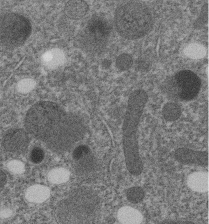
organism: C. elegans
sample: C. elegans embryo early stage